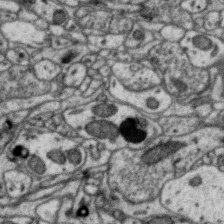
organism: Zebra finch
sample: Brain